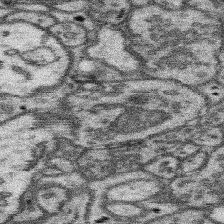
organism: Mouse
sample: Somatosensory cortex neuropil